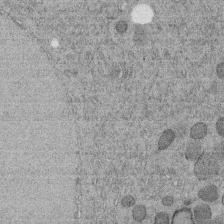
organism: C. elegans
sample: C. elegans embryo early stage